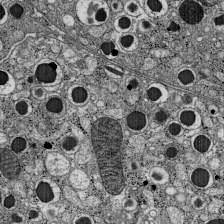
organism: C57BL Mouse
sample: Pancreatic islet